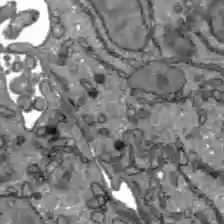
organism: C57BL Mouse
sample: Liver